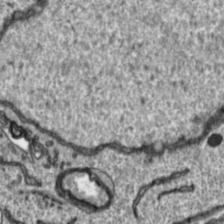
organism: Toxoplasma gondii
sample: Parasites in a vacuole inside a host cell